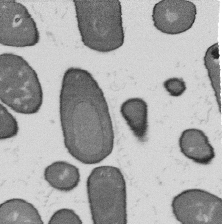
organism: B. subtilis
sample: Bacterial spore